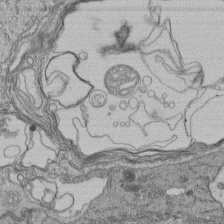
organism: Human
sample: Retinal organoid Rod and Cone cells